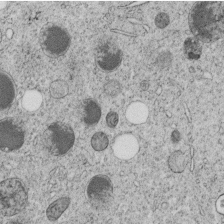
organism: C. elegans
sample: C. elegans embryo early stage